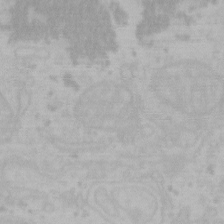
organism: Mouse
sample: Choroid plexus